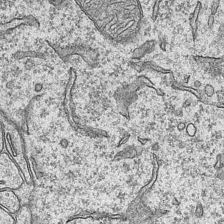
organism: Mouse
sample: CA1 Hippocampus